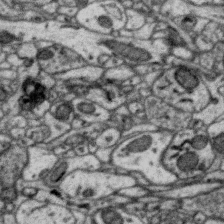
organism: Zebra finch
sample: Brain